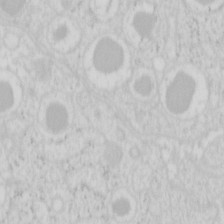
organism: Mouse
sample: Pancreas